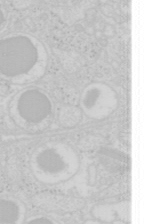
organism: Mouse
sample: Pancreas